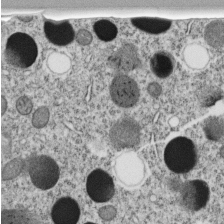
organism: C. elegans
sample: C. elegans embryo early stage